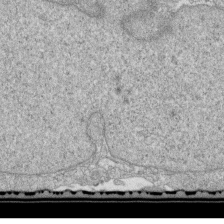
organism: Human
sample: HeLa cell HIV synapse